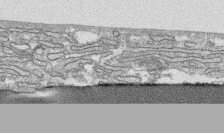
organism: Human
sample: CRL-1474